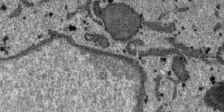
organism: Human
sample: Lung epithelial cells, uninfected (mock) control